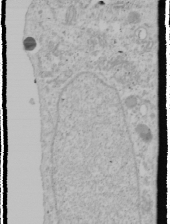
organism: Human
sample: Mitochondria in U2OS cells